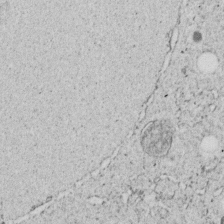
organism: C. elegans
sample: C. elegans embryo early stage